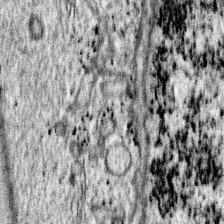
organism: Human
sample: HeLa cells